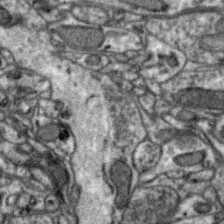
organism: Zebra finch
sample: Brain